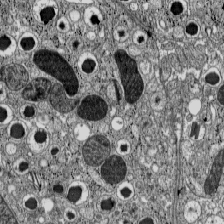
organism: C57BL Mouse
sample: Pancreatic islet